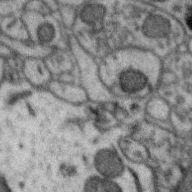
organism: Zebra finch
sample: Brain